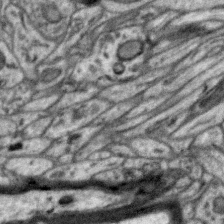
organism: Zebra finch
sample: Brain